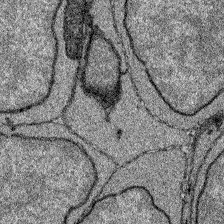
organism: Zebrafish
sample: Larval olfactory bulb